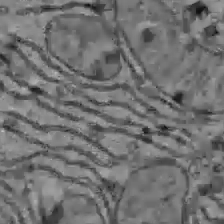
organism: C57BL Mouse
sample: Liver